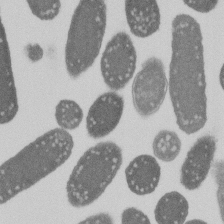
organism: E. coli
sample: Bacterial nucleoid